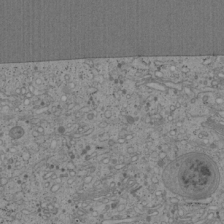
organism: African green monkey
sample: COS-7 cells